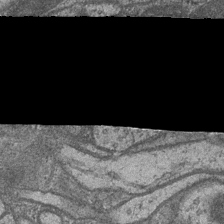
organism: Drosophila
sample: Optic medulla